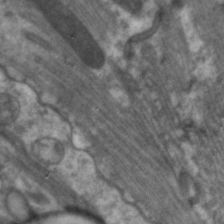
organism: C. elegans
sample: Pharynx